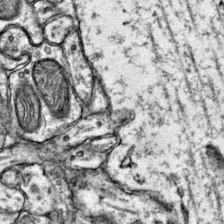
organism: Mouse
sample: Primary visual cortex